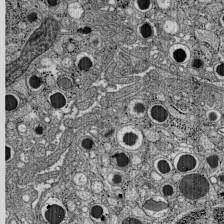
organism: C57BL Mouse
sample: Pancreatic islet